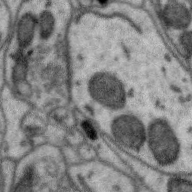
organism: Zebra finch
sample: Brain